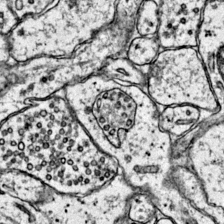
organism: Mouse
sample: Primary visual cortex